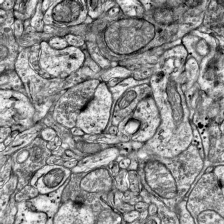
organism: Mouse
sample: Visual Cortex